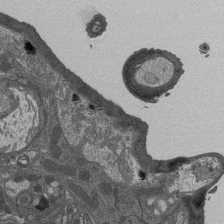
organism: Drosophila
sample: Antenna